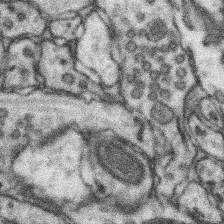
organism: Mouse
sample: Somatosensory cortex neuropil